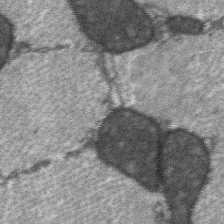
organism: C57BL Mouse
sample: Soleus